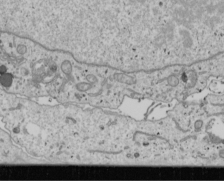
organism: Human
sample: Mitochondria in U2OS cells